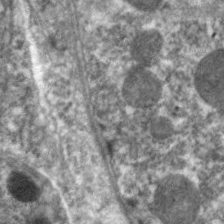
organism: C. elegans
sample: Pharynx